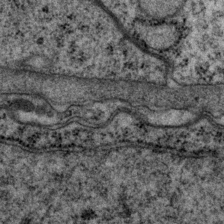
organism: P. pacificus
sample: Pharynx